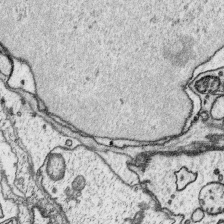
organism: Platynereis dumerilii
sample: Parapodia